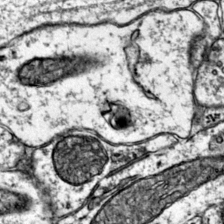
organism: Mouse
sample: Primary visual cortex